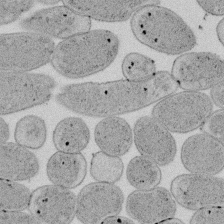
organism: E. coli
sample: Bacterial nucleoid